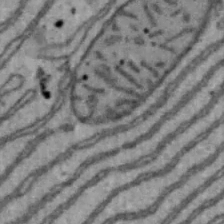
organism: Mouse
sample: Liver